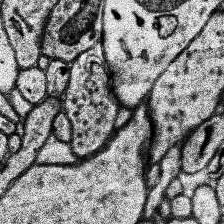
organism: Human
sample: Temporal Lobe